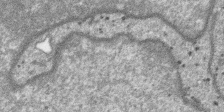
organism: Human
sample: Lung epithelial cells infected with SARS-CoV-2